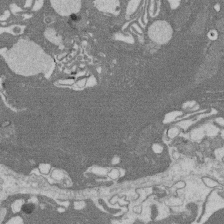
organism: Rat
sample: Salivary granule